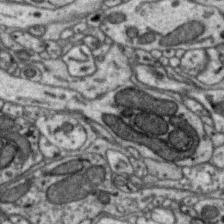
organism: Zebra finch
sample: Brain